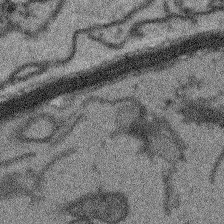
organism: Arabidopsis thaliana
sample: Root tip